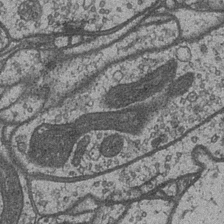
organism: Drosophila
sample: Optic medulla